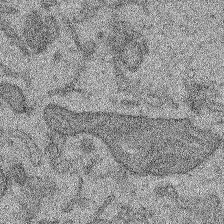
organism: Human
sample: HeLa cells